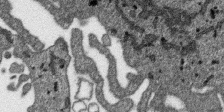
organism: Human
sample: Lung epithelial cells infected with SARS-CoV-2